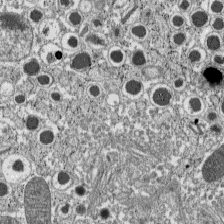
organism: C57BL Mouse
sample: Pancreatic islet